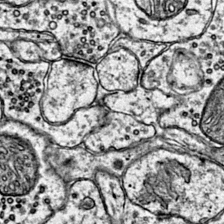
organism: Mouse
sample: Primary visual cortex